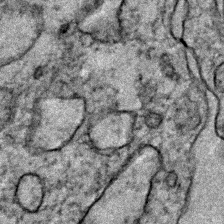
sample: Trachea